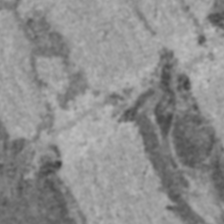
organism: C57BL Mouse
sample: Heart